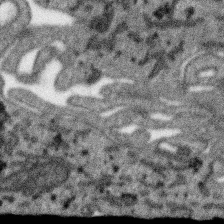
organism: Human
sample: Lung epithelial cells infected with SARS-CoV-2